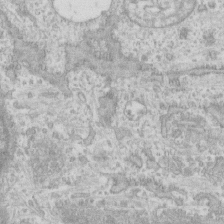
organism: Human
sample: CRL-1474